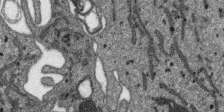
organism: Human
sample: Lung epithelial cells infected with SARS-CoV-2